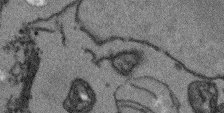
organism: Arabidopsis thaliana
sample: Root tip